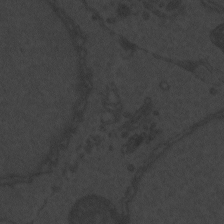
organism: Zebrafish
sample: Macrophage infected with Toxoplasma gondii